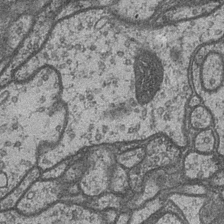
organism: Drosophila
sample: Optic medulla